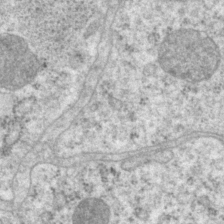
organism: P. pacificus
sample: Pharynx